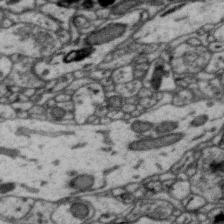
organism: Zebra finch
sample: Brain